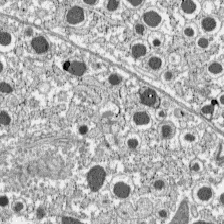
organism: C57BL Mouse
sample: Pancreatic islet